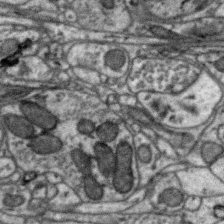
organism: Zebra finch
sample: Brain